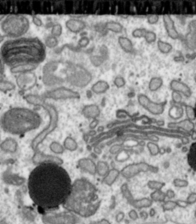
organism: Toxoplasma gondii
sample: Parasites in a vacuole inside a host cell